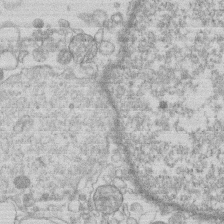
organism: Human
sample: Macrophage cells